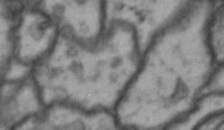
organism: Drosophila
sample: Brain